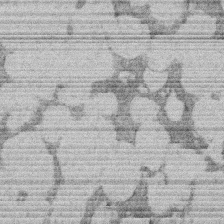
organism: Rat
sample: Salivary granule